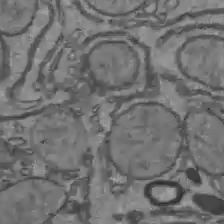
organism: C57BL Mouse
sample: Liver